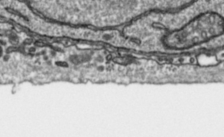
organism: Toxoplasma gondii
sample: Parasites in a vacuole inside a host cell